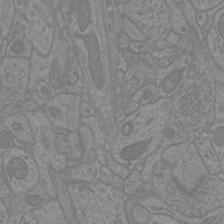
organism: Mouse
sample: Cortical neurons